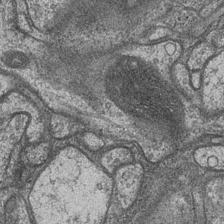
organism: Drosophila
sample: Optic medulla